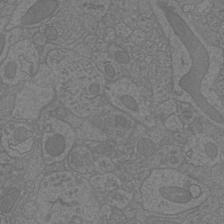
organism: Mouse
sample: Cortical neurons